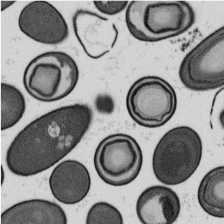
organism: B. subtilis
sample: Bacterial spore